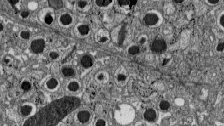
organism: C57BL Mouse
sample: Pancreatic islet